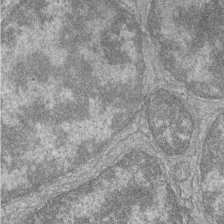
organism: Zebrafish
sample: Cilia; retinal pigment epithelium